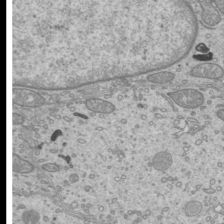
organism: Mouse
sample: Cilia; mouse epididymis